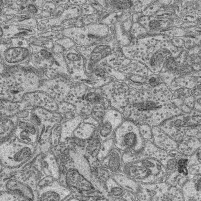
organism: Mouse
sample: Retina